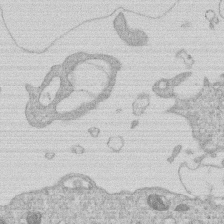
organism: Human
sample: Macrophage cells